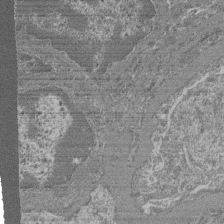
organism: Mouse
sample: Glomerulus